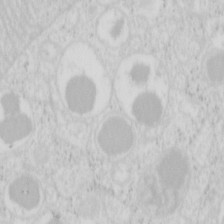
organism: Mouse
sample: Pancreas